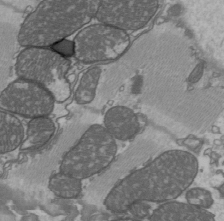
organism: C57BL Mouse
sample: Heart